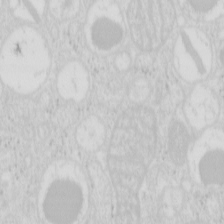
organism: Mouse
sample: Pancreas